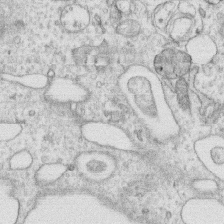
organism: Human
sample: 1205lu cells